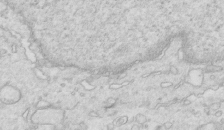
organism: Mouse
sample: Multiciliated cells